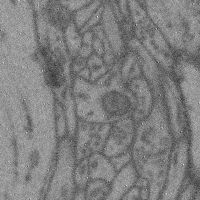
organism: Mouse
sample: Cerebral cortex